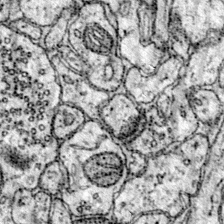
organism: Mouse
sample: Primary visual cortex